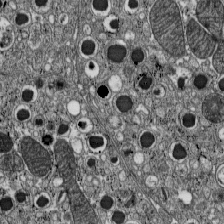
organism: C57BL Mouse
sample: Pancreatic islet